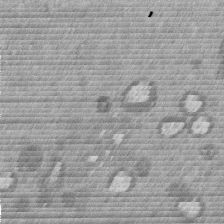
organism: Mouse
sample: Dividing mouse embryo 1 cell stage